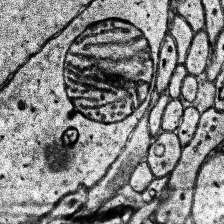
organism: Human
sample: Temporal Lobe